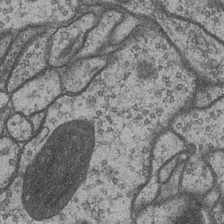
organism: Drosophila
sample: Optic medulla